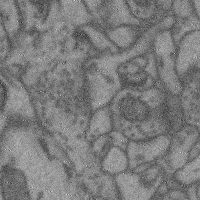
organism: Mouse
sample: Cerebral cortex